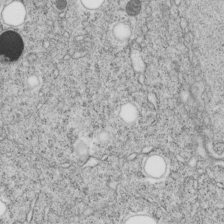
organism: C. elegans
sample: C. elegans embryo early stage